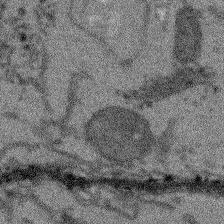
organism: Arabidopsis thaliana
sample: Root tip